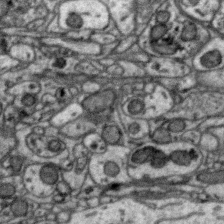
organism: Zebra finch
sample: Brain